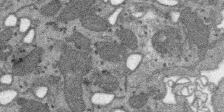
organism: Human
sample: Lung epithelial cells infected with SARS-CoV-2